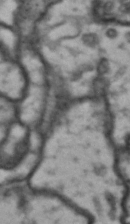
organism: Drosophila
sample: Brain